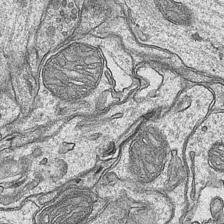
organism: Mouse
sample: CA1 Hippocampus